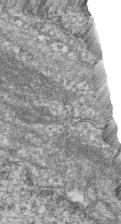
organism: Zebrafish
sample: Cilia; retinal pigment epithelium